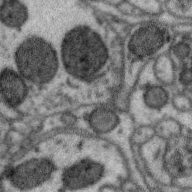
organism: Zebra finch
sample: Brain